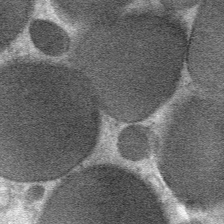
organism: Mouse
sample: Mouse Salivary gland